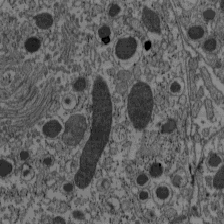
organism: C57BL Mouse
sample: Pancreatic islet